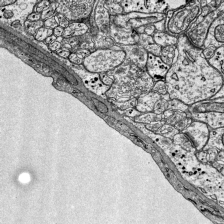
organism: Mouse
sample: Visual Cortex